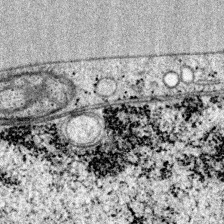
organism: Human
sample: HeLa cells